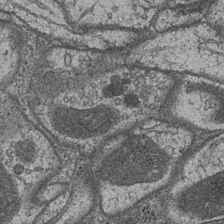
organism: Drosophila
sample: Optic medulla